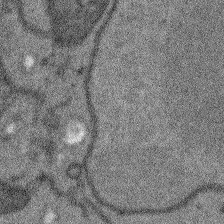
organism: Arabidopsis thaliana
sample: Root tip